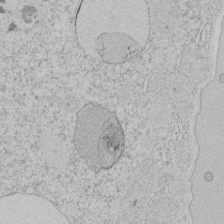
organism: Tetrahymena